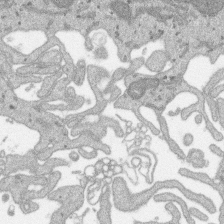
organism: Human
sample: Lung epithelial cells infected with SARS-CoV-2